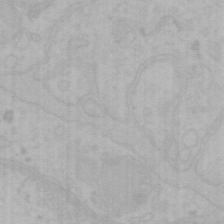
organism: Mouse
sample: Choroid plexus